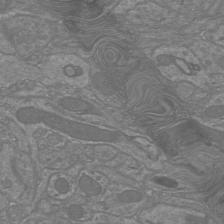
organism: Mouse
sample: Cortical neurons